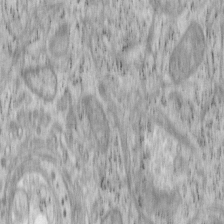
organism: Human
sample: HeLa cells